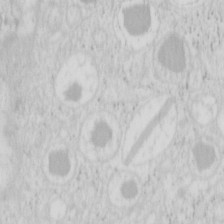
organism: Mouse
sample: Pancreas